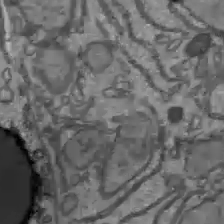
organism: C57BL Mouse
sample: Liver